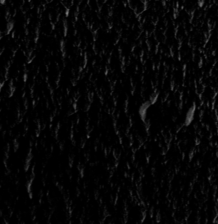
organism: Toxoplasma gondii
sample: Parasites in a vacuole inside a host cell